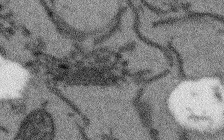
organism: Arabidopsis thaliana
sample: Root tip